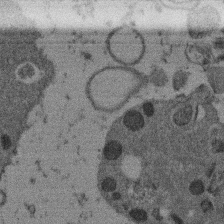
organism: Mouse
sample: Dividing mouse embryo 1 cell stage